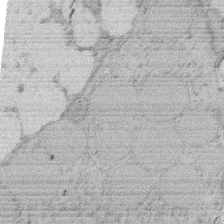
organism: Rat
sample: Salivary granule